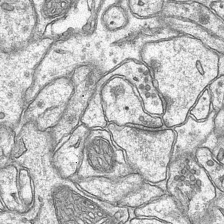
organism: Mouse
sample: CA1 Hippocampus